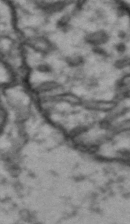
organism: Drosophila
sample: Brain